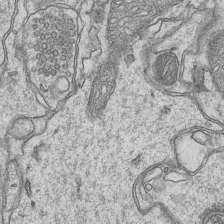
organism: Mouse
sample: CA1 Hippocampus